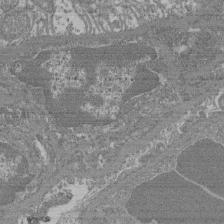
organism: Mouse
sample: Glomerulus